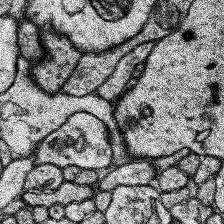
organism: Human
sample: Temporal Lobe